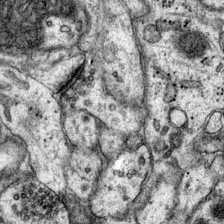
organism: Mouse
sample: Primary visual cortex